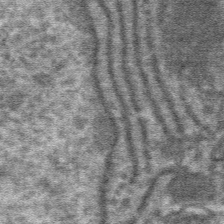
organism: Mouse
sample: Mouse hepatocytes